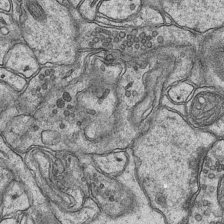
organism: Mouse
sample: CA1 Hippocampus